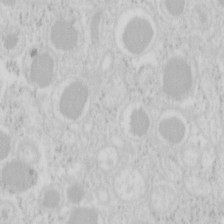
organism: Mouse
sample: Pancreas